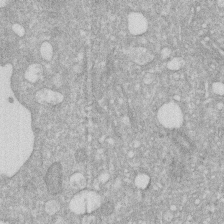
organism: Human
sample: HIV infected U937 cells